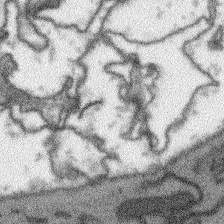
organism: Arabidopsis thaliana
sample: Root tip